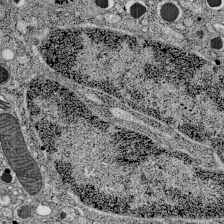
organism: C57BL Mouse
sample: Pancreatic islet